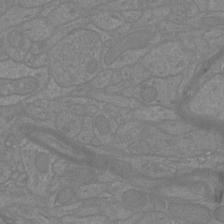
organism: Mouse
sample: Cortical neurons